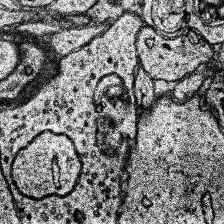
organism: Human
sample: Temporal Lobe